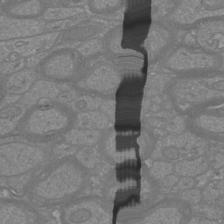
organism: Mouse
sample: Cortical neurons